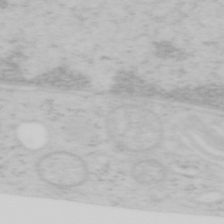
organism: Mouse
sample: OT-I killer T cells with ID8 ovarian cancer cells